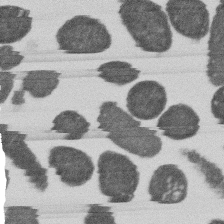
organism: E. coli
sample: Bacterial nucleoid